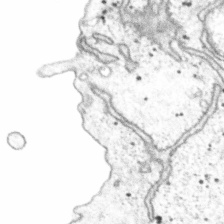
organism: Human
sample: HeLa cells